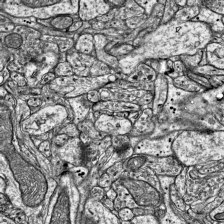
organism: Mouse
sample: Visual Cortex